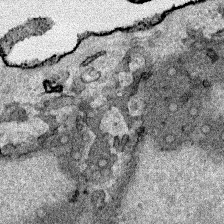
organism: Human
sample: Mitochondria in HCT116 cells